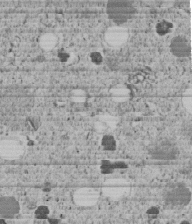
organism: C. elegans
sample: C. elegans embryo early stage